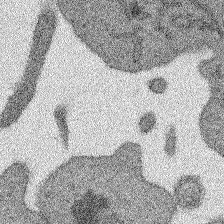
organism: Human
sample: HeLa cells